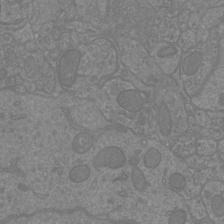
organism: Mouse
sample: Cortical neurons